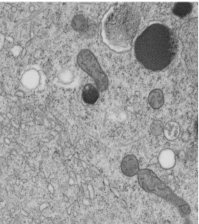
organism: C. elegans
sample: C. elegans embryo early stage